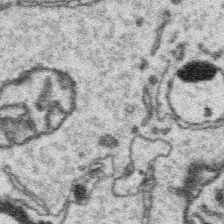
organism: Platynereis dumerilii